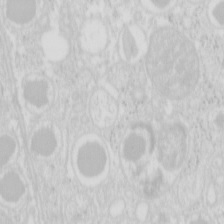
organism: Mouse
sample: Pancreas